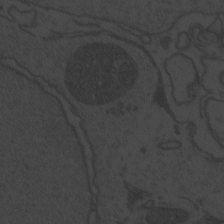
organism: Zebrafish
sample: Macrophage infected with Toxoplasma gondii